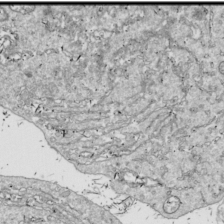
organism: Drosophila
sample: Cell division; meiosis; drosophila spermatocytes